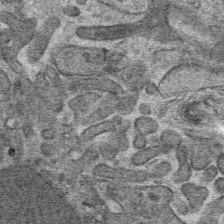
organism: Mouse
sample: Mouse hepatocytes